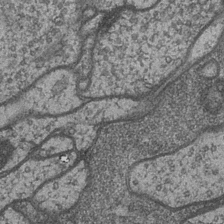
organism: Drosophila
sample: Optic medulla